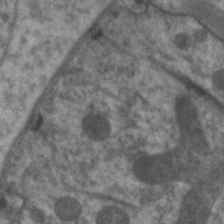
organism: C. elegans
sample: Pharynx